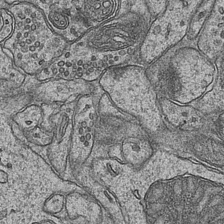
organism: Mouse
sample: CA1 Hippocampus